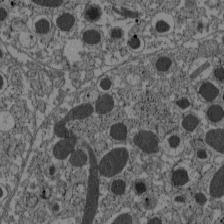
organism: C57BL Mouse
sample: Pancreatic islet